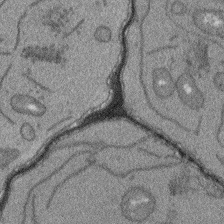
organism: Arabidopsis thaliana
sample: Root tip